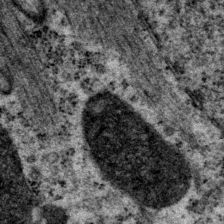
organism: P. pacificus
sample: Pharynx